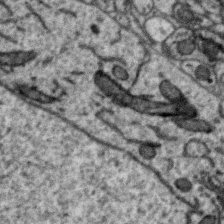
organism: Zebra finch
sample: Brain